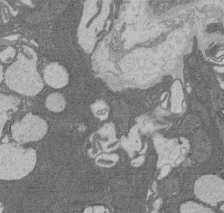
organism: Rat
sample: Salivary granule